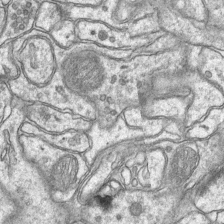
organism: Mouse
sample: CA1 Hippocampus